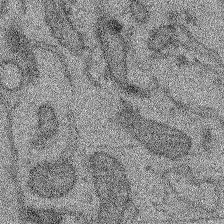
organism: Human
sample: HeLa cells